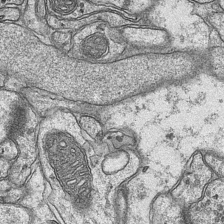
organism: Mouse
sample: CA1 Hippocampus